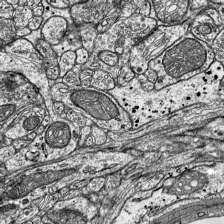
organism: Mouse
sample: Visual Cortex